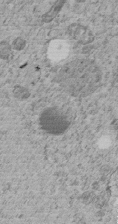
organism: C. elegans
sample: C. elegans embryo early stage